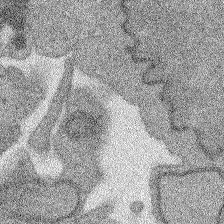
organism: Human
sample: HeLa cells